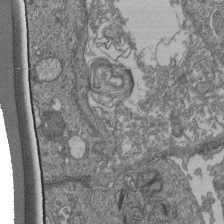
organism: Human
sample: Retinal organoid Rod and Cone cells